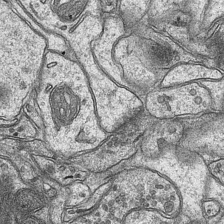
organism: Mouse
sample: CA1 Hippocampus